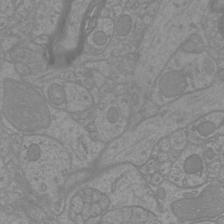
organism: Mouse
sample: Cortical neurons